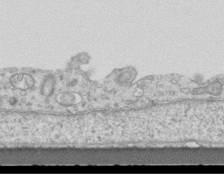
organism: Mouse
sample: Centriole in ependymal cells